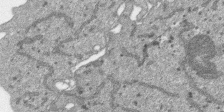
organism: Human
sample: Lung epithelial cells infected with SARS-CoV-2